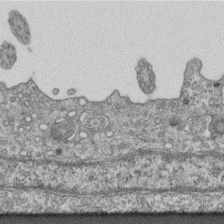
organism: Mouse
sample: Centriole in ependymal cells